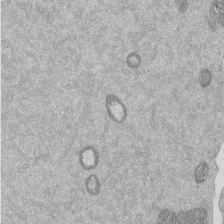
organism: Mouse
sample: Dividing mouse embryo 1 cell stage